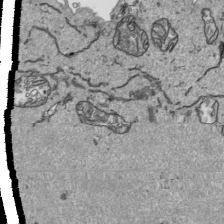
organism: Human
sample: Mitochondria in HCT116 cells